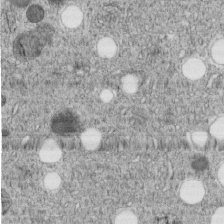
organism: C. elegans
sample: C. elegans embryo early stage